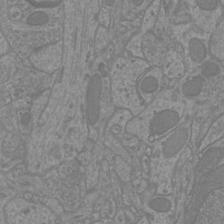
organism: Mouse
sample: Cortical neurons